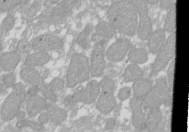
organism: Xenopus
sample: Cilia; centrioles in frog embryo cells